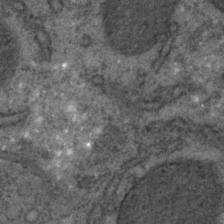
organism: C. elegans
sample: C. elegans embryo